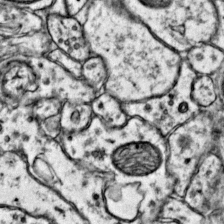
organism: Mouse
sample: Primary visual cortex